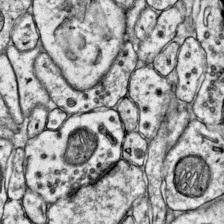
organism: Mouse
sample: Primary visual cortex